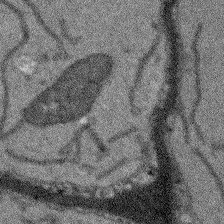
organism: Arabidopsis thaliana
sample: Root tip